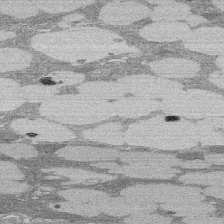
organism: Rat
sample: Salivary granule